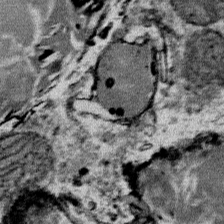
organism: Mouse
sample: Mouse Salivary gland